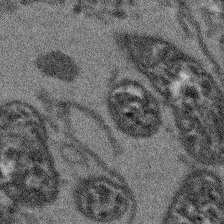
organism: Arabidopsis thaliana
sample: Root tip